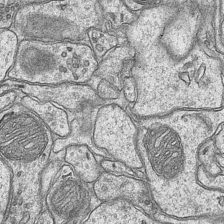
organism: Mouse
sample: CA1 Hippocampus